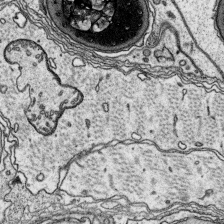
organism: Platynereis dumerilii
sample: Parapodia